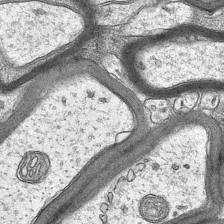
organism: Mouse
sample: CA1 Hippocampus